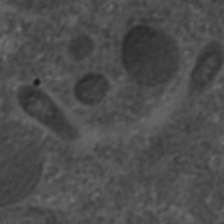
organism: C. elegans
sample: C. elegans embryo